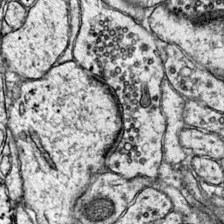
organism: Mouse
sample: Primary visual cortex